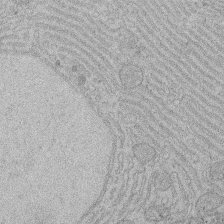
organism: Rat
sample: Salivary granule